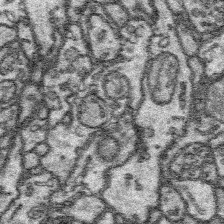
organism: Platynereis dumerilii